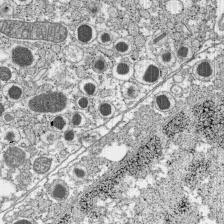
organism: C57BL Mouse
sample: Pancreatic islet